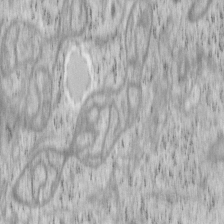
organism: Human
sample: HeLa cells